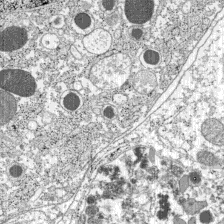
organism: C57BL Mouse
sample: Pancreatic islet